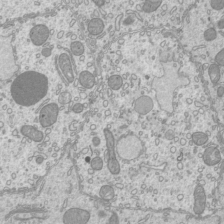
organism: Mouse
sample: Cilia; mouse epididymis